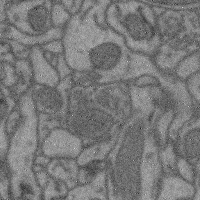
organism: Mouse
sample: Cerebral cortex